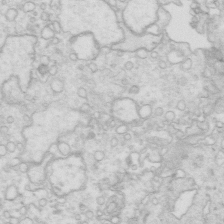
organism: Mouse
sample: Multiciliated cells